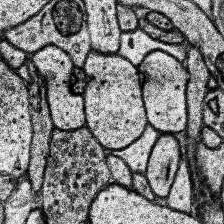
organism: Human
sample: Temporal Lobe